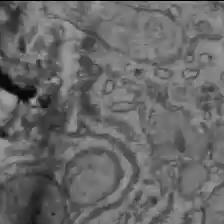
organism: C57BL Mouse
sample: Liver